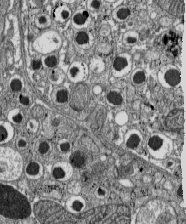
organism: C57BL Mouse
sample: Pancreatic islet